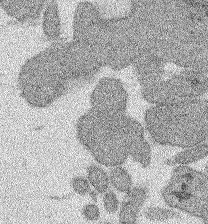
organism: Human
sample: HeLa cells